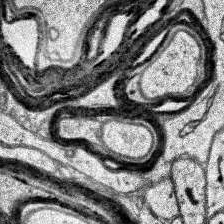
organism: Human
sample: Temporal Lobe